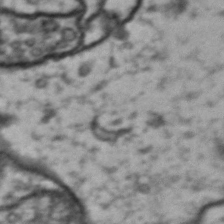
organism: Drosophila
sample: Brain